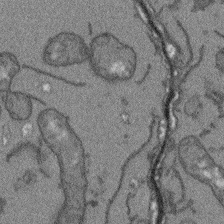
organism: Arabidopsis thaliana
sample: Root tip